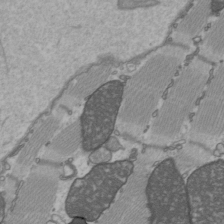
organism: C57BL Mouse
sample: Heart